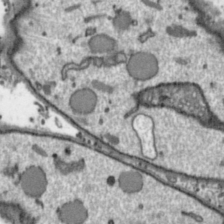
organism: Toxoplasma gondii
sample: Parasites in a vacuole inside a host cell